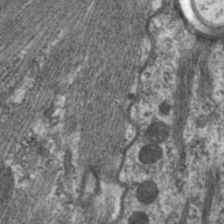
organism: C. elegans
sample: Pharynx